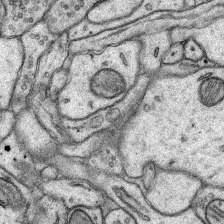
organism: Rat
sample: Hippocampus